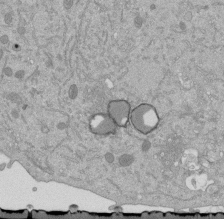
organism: Mouse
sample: ED-1 cell nuclei; centrioles